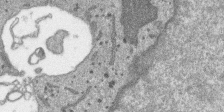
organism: Human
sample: Lung epithelial cells infected with SARS-CoV-2